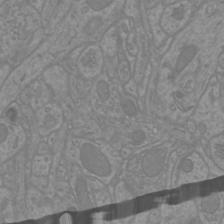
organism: Mouse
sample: Cortical neurons